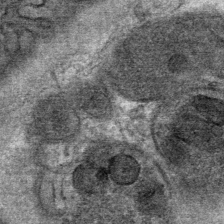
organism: Mouse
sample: Mouse Salivary gland